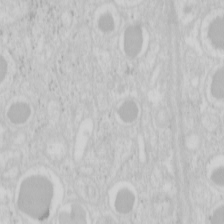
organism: Mouse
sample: Pancreas